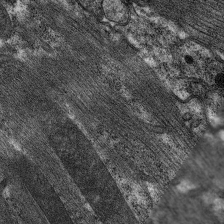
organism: C. elegans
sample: Pharynx